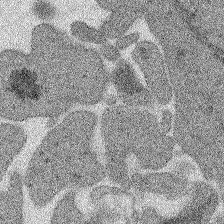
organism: Human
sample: HeLa cells